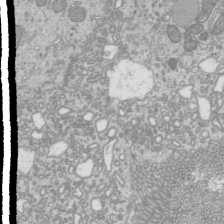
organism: Mouse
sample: Cilia; mouse epididymis